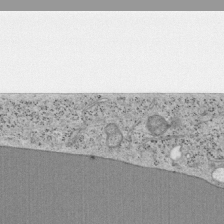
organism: Human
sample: HeLa cells